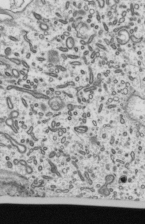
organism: Mouse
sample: Mouse epididymis efferent ductule cilia